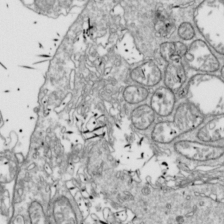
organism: Drosophila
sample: Cell division; meiosis; drosophila spermatocytes